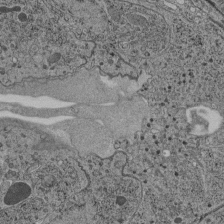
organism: C. elegans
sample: C. elegans pharynx